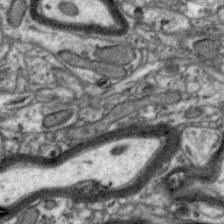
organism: Zebra finch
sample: Brain